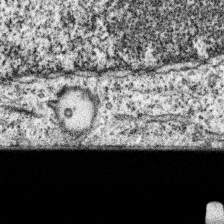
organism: Human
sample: HeLa cells